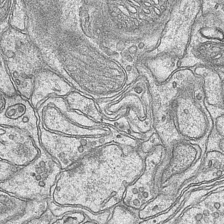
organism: Mouse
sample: CA1 Hippocampus